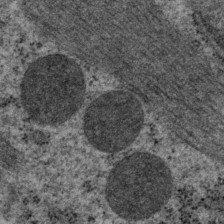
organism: P. pacificus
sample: Pharynx